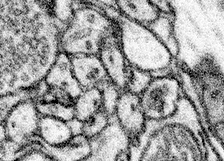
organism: Mouse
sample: Somatosensory cortex neuropil